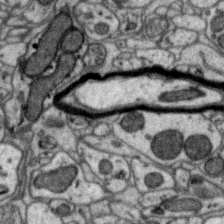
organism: Zebra finch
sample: Brain